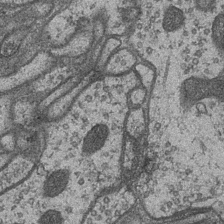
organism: Drosophila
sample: Optic medulla